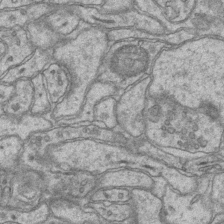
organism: Mouse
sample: CA1 Hippocampus